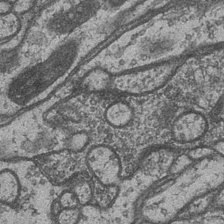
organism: Drosophila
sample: Optic medulla